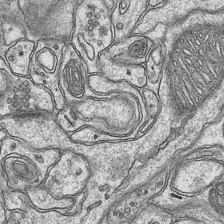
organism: Mouse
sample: CA1 Hippocampus